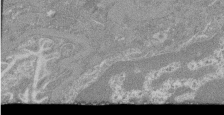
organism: Mouse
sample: Glomerulus